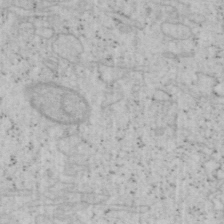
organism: Human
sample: HeLa cells